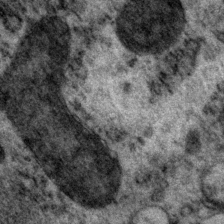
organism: P. pacificus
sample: Pharynx